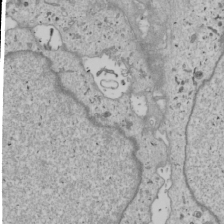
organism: Human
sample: Mitochondria in U2OS cells